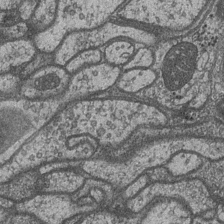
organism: Drosophila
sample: Optic medulla